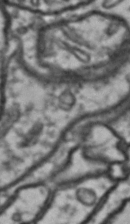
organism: Drosophila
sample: Brain